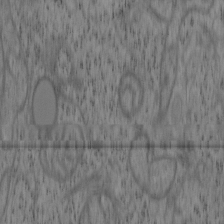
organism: Human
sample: HeLa cells